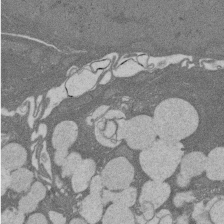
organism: Rat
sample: Salivary granule